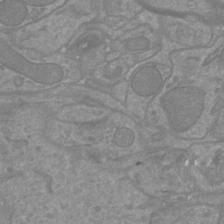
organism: Mouse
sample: Cortical neurons